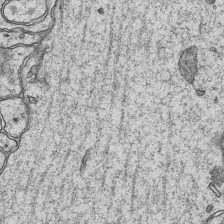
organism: Mouse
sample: CA1 Hippocampus